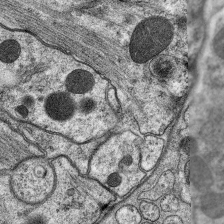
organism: C. elegans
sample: Pharynx